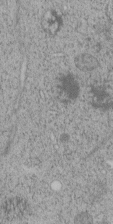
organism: C. elegans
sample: C. elegans embryo early stage